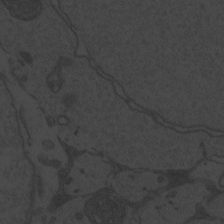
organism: Zebrafish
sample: Macrophage infected with Toxoplasma gondii